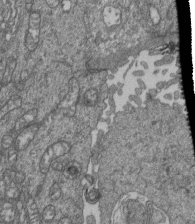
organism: Human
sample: Retinal organoid Rod and Cone cells